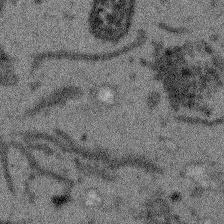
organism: Arabidopsis thaliana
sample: Root tip